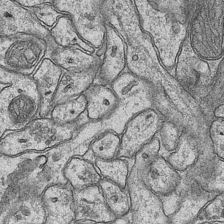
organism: Mouse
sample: CA1 Hippocampus